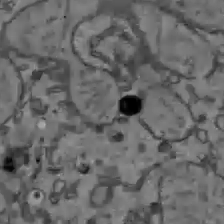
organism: C57BL Mouse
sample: Liver